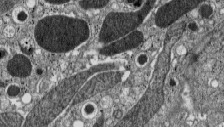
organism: C57BL Mouse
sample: Pancreatic islet